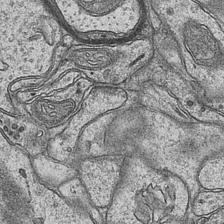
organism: Mouse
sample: CA1 Hippocampus